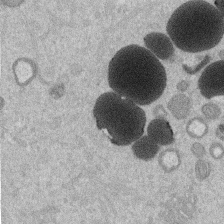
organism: Mouse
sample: Dividing mouse embryo 1 cell stage